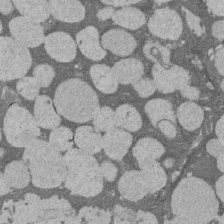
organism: Rat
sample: Salivary granule